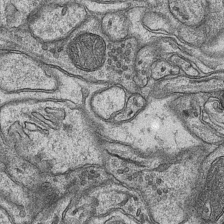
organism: Mouse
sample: CA1 Hippocampus